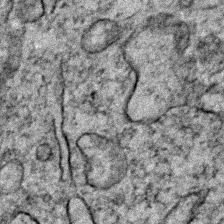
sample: Trachea